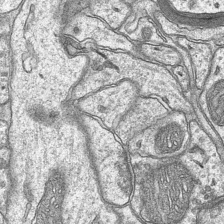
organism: Mouse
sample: CA1 Hippocampus